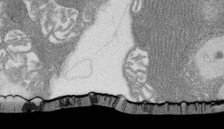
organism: Rat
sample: Salivary granule